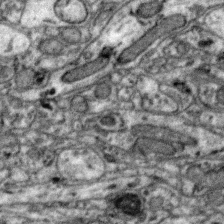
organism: Zebra finch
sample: Brain